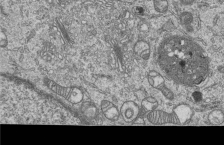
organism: Human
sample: MDA-MB-231 cells